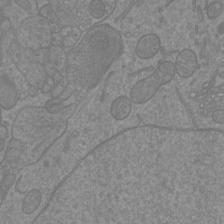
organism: Mouse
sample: Cortical neurons